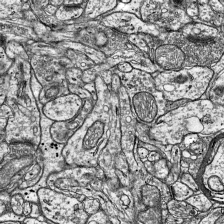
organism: Mouse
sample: Visual Cortex